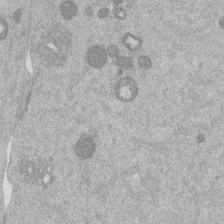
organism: Mouse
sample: Dividing mouse embryo 1 cell stage